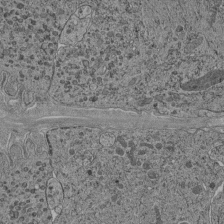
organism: C. elegans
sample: C. elegans pharynx